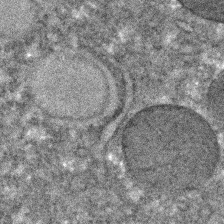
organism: C. elegans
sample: C. elegans embryo